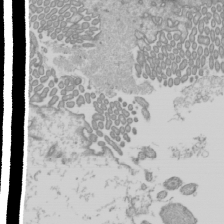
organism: Mouse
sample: Cilia; mouse epididymis